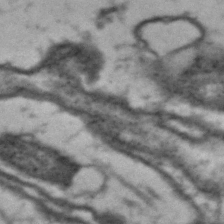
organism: Drosophila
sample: Brain